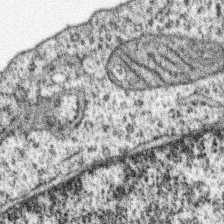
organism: Human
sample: HeLa cells